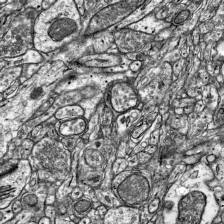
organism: Mouse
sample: Visual Cortex